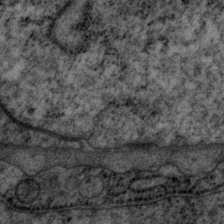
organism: P. pacificus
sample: Pharynx